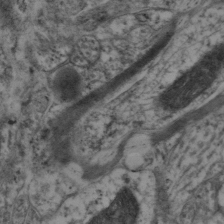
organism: Mouse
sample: Neocortex